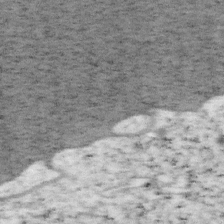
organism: Mouse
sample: OT-I killer T cells with ID8 ovarian cancer cells